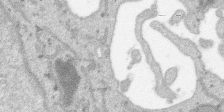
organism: Human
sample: Lung epithelial cells infected with SARS-CoV-2